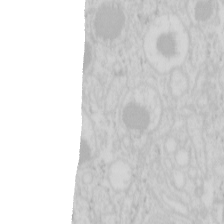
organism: Mouse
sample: Pancreas